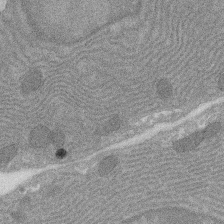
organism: Rat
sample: Salivary granule